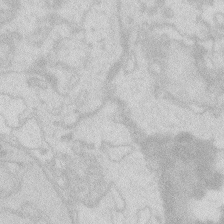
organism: Zebrafish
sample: Macrophage